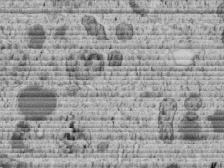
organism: C. elegans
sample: C. elegans embryo early stage